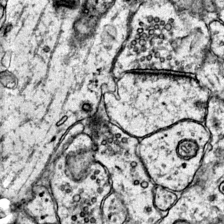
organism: Mouse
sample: Primary visual cortex